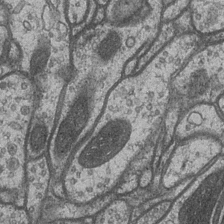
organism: Drosophila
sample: Optic medulla